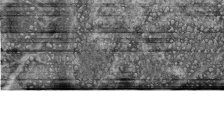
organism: Mouse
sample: Glomerulus